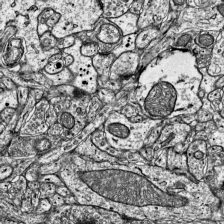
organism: Mouse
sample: Visual Cortex